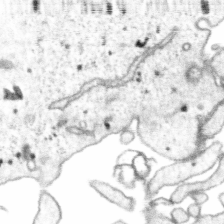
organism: Human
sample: HeLa cells